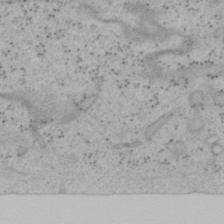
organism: Human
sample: HeLa cells